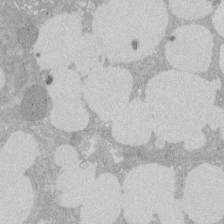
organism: Rat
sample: Salivary granule